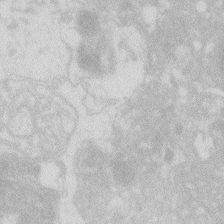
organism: Zebrafish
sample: Macrophage